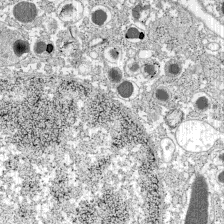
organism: C57BL Mouse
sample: Pancreatic islet